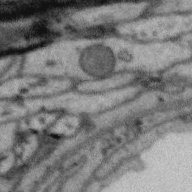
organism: Zebra finch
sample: Brain